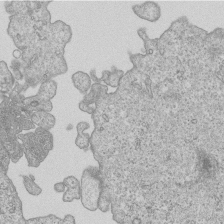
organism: Human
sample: MDA-MB-231 cells